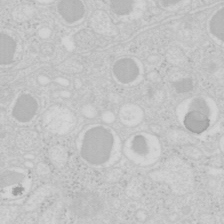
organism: Mouse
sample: Pancreas